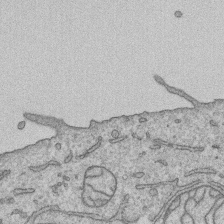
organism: Human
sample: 1205lu cells